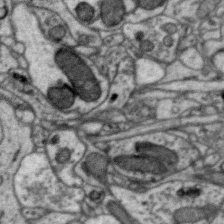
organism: Zebra finch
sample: Brain